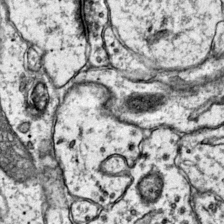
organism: Mouse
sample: Primary visual cortex